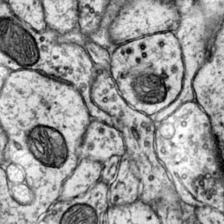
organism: Mouse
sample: Primary visual cortex